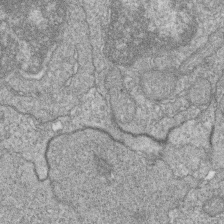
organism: Zebrafish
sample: Cilia; retinal pigment epithelium